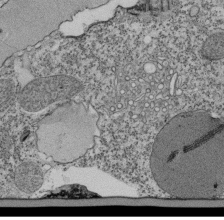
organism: Tetrahymena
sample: Cilia in tetrahymena